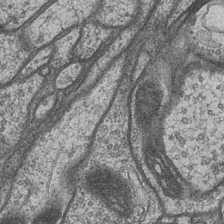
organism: Drosophila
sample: Optic medulla